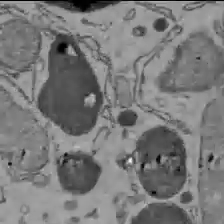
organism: C57BL Mouse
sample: Liver